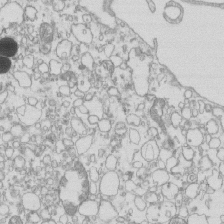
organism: Mouse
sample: Macrophages